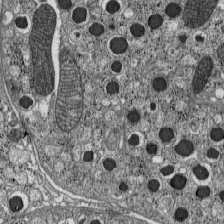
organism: C57BL Mouse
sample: Pancreatic islet